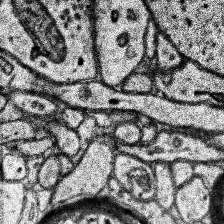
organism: Human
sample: Temporal Lobe